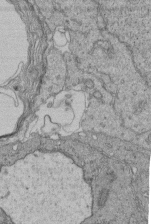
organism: Human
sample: Retinal organoid Rod and Cone cells